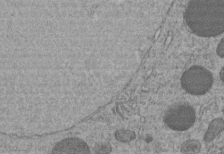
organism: C. elegans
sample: C. elegans embryo early stage